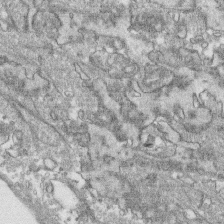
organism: Human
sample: CRL-1474